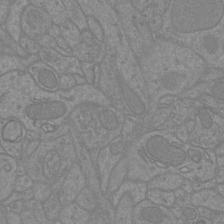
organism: Mouse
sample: Cortical neurons